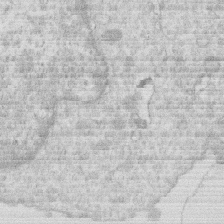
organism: Human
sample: Macrophage cells